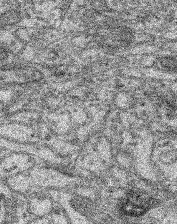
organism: Mouse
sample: Retina